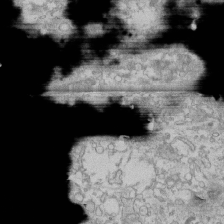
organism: Human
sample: CRL-1474